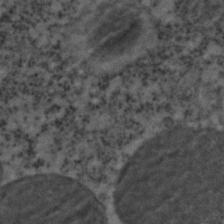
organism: C. elegans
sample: C. elegans embryo